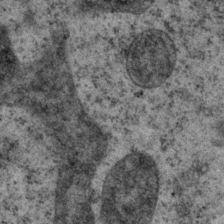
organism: P. pacificus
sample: Pharynx